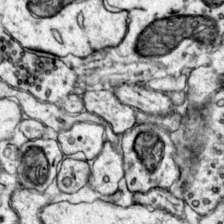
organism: Mouse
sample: Primary visual cortex